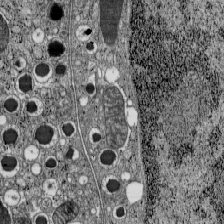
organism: C57BL Mouse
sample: Pancreatic islet